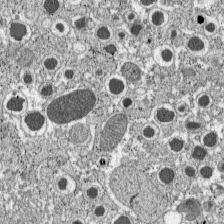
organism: C57BL Mouse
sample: Pancreatic islet